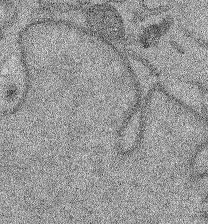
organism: Human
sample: HeLa cells